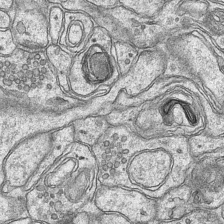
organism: Mouse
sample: CA1 Hippocampus